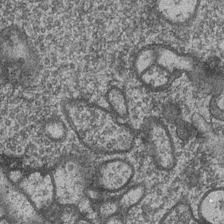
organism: Drosophila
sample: Optic medulla